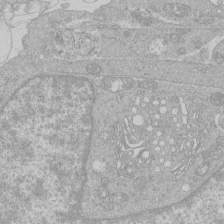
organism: Human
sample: Macrophage cells